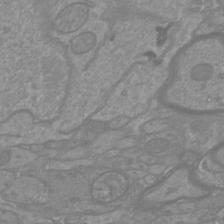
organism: Mouse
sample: Cortical neurons